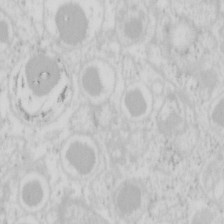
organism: Mouse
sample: Pancreas